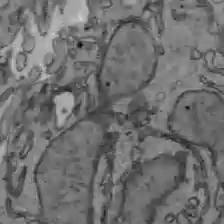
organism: C57BL Mouse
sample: Liver